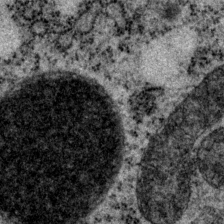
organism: P. pacificus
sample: Pharynx